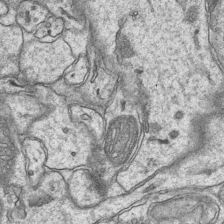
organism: Mouse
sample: CA1 Hippocampus